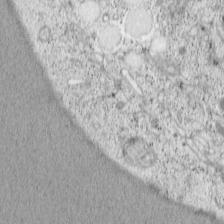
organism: African green monkey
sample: COS-7 cells